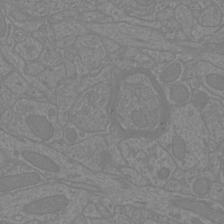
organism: Mouse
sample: Cortical neurons